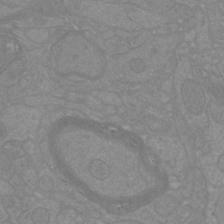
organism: Mouse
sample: Cortical neurons